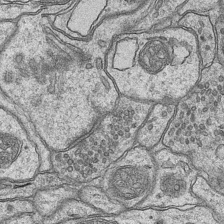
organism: Mouse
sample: CA1 Hippocampus